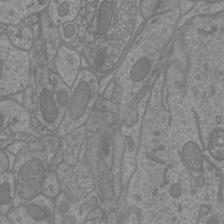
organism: Mouse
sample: Cortical neurons